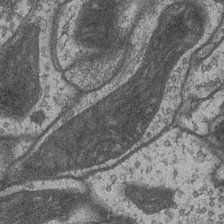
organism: Drosophila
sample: Optic medulla